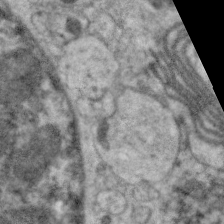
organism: C. elegans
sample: Pharynx